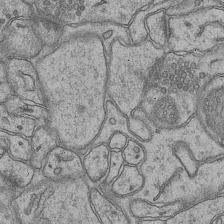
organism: Mouse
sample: CA1 Hippocampus